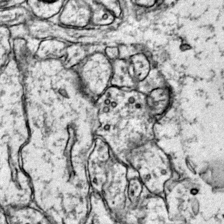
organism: Mouse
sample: Primary visual cortex